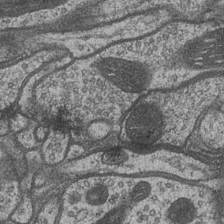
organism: Drosophila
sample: Optic medulla